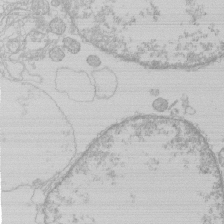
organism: Human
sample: Macrophage cells